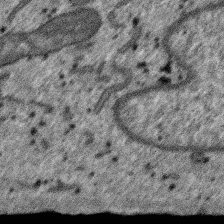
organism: Human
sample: Lung epithelial cells infected with SARS-CoV-2